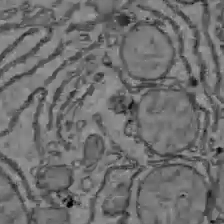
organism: C57BL Mouse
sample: Liver